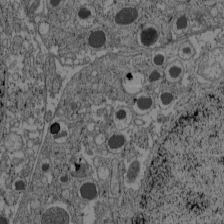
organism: C57BL Mouse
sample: Pancreatic islet